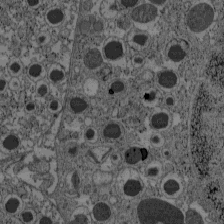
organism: C57BL Mouse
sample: Pancreatic islet